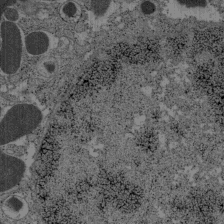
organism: C57BL Mouse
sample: Pancreatic islet